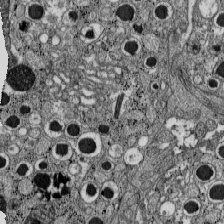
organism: C57BL Mouse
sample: Pancreatic islet